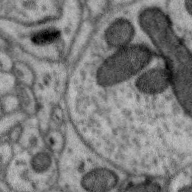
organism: Zebra finch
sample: Brain